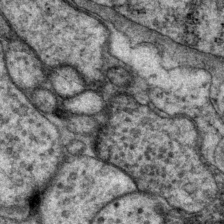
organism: P. pacificus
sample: Pharynx